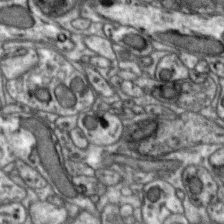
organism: Zebra finch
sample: Brain